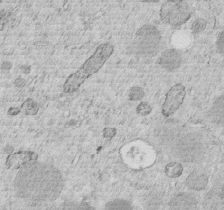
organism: C. elegans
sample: C. elegans embryo early stage